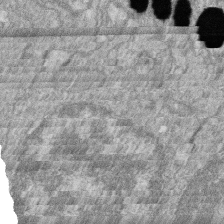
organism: Zebrafish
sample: Cilia; retinal pigment epithelium